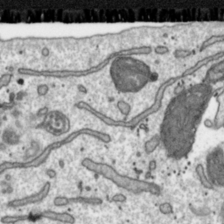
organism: Toxoplasma gondii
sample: Parasites in a vacuole inside a host cell